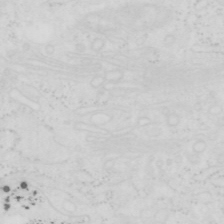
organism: Human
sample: SUM-159 cell